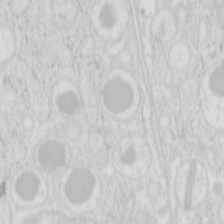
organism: Mouse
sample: Pancreas